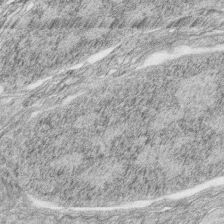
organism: Zebrafish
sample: synaptic ribbons in rod cells and cone cells